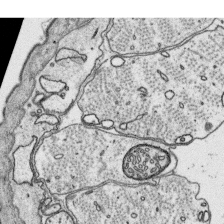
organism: Platynereis dumerilii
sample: Parapodia